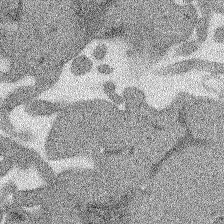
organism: Human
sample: HeLa cells